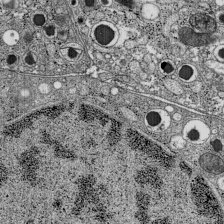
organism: C57BL Mouse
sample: Pancreatic islet